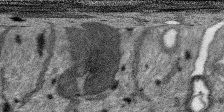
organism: Human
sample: Lung epithelial cells infected with SARS-CoV-2